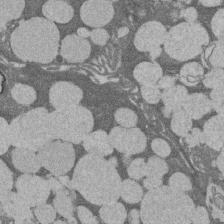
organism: Rat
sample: Salivary granule